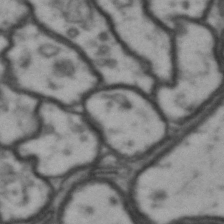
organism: Drosophila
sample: Brain